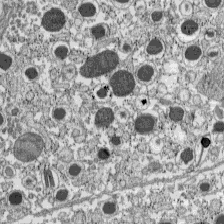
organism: C57BL Mouse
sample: Pancreatic islet